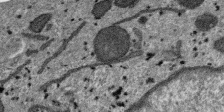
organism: Human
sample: Lung epithelial cells, uninfected (mock) control